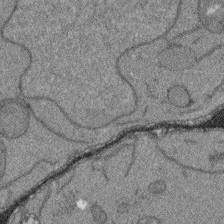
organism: Arabidopsis thaliana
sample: Root tip